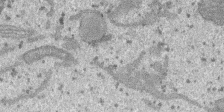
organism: Human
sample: Lung epithelial cells infected with SARS-CoV-2